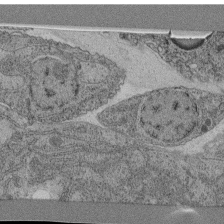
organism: C. elegans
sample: C. elegans pharynx